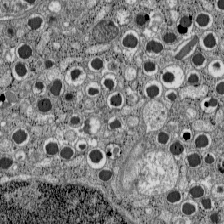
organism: C57BL Mouse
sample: Pancreatic islet